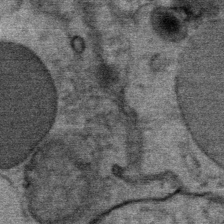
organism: Mouse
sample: Mouse Salivary gland